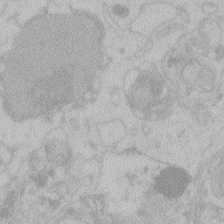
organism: Zebrafish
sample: Macrophage infected with Toxoplasma gondii